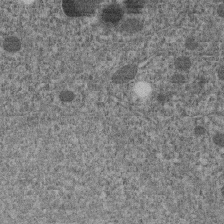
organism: C. elegans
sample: C. elegans embryo early stage